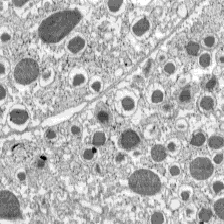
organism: C57BL Mouse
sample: Pancreatic islet